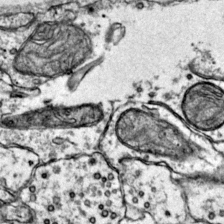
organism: Mouse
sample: Primary visual cortex